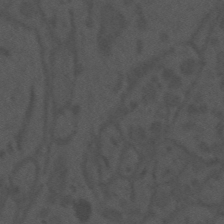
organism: Mouse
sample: Suprachiasmatic nucleus